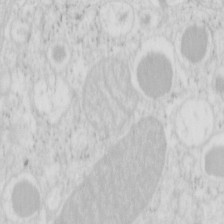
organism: Mouse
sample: Pancreas